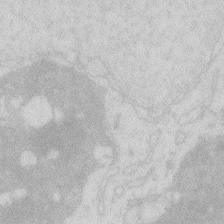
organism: Zebrafish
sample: Macrophage